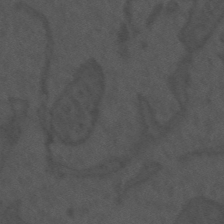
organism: Mouse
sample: Suprachiasmatic nucleus